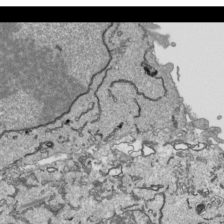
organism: Human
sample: Mitochondria in HCT116 cells